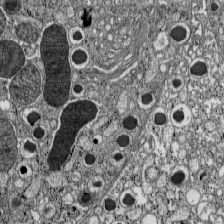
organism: C57BL Mouse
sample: Pancreatic islet